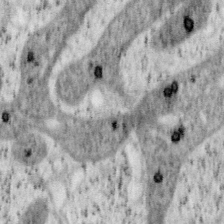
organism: Mouse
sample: OT-I killer T cells with ID8 ovarian cancer cells